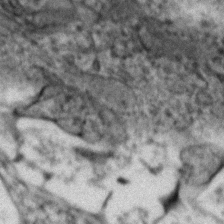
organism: Zebrafish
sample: Zebrafish embryo